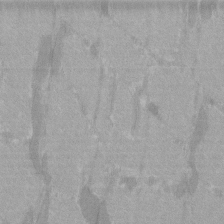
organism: C57BL Mouse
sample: Tibialis anterior muscle cell